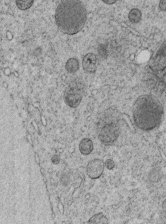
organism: C. elegans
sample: C. elegans embryo early stage